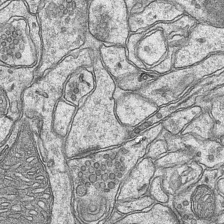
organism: Mouse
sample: CA1 Hippocampus